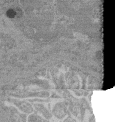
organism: Mouse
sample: Glomerulus